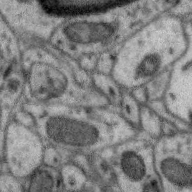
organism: Zebra finch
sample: Brain